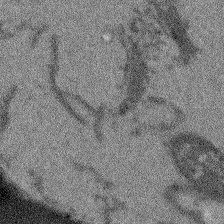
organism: Arabidopsis thaliana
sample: Root tip